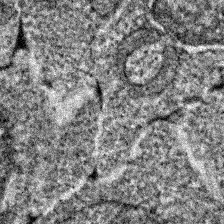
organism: Zebrafish